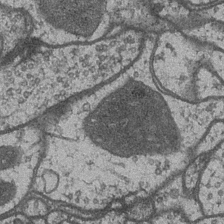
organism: Drosophila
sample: Optic medulla